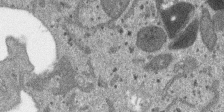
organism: Human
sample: Lung epithelial cells infected with SARS-CoV-2